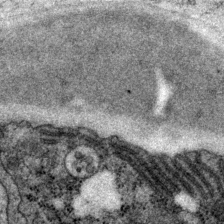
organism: P. pacificus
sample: Pharynx